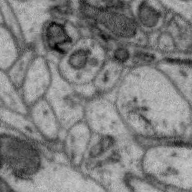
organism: Zebra finch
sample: Brain